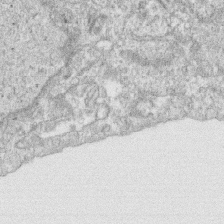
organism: Human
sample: HeLa cell HIV synapse